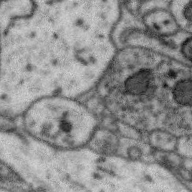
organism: Zebra finch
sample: Brain